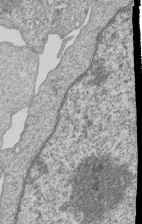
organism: Human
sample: MDA-MB-231 cells